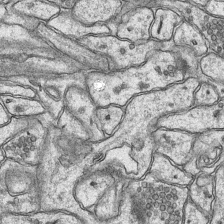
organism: Mouse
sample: CA1 Hippocampus